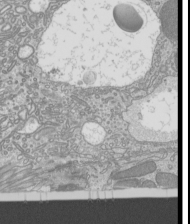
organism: Mouse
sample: Cilia; mouse epididymis